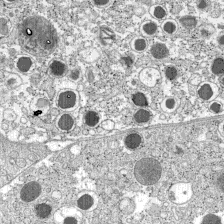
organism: C57BL Mouse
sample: Pancreatic islet